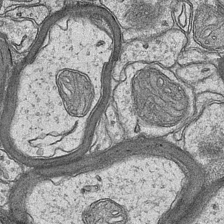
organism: Mouse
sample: CA1 Hippocampus